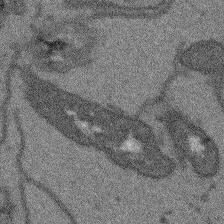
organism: Arabidopsis thaliana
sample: Root tip